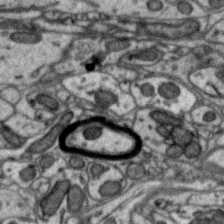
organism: Zebra finch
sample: Brain